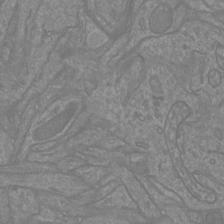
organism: Mouse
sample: Cortical neurons